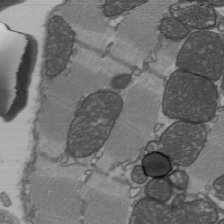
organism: C57BL Mouse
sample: Heart